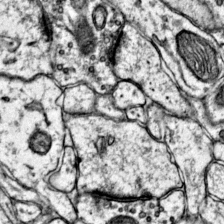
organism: Mouse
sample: Primary visual cortex